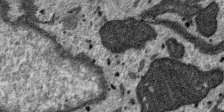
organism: Human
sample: Lung epithelial cells, uninfected (mock) control